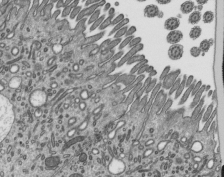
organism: Mouse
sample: Mouse epididymis efferent ductule cilia